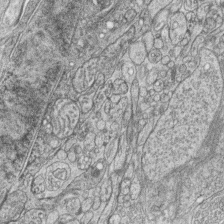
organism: Zebrafish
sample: synaptic ribbons in rod cells and cone cells